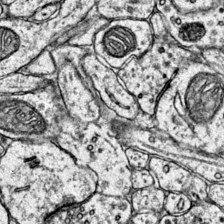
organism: Mouse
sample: Primary visual cortex